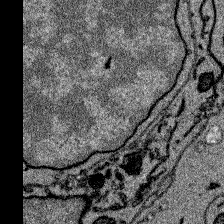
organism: Zebrafish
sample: Larval olfactory bulb